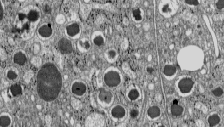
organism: C57BL Mouse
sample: Pancreatic islet